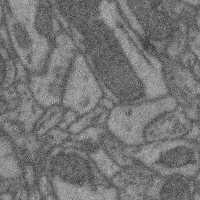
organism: Mouse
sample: Cerebral cortex